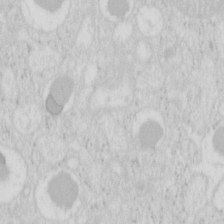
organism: Mouse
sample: Pancreas